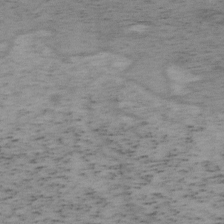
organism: Mouse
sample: OT-I killer T cells with ID8 ovarian cancer cells